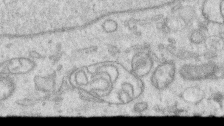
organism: Human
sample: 1205lu cells